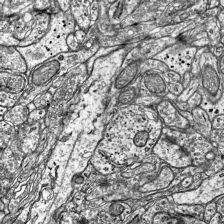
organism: Mouse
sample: Visual Cortex